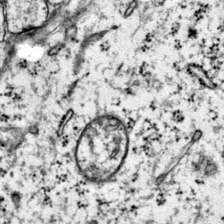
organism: Mouse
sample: Primary visual cortex